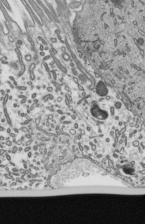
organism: Mouse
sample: Mouse epididymis efferent ductule cilia